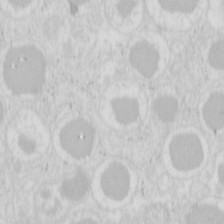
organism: Mouse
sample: Pancreas